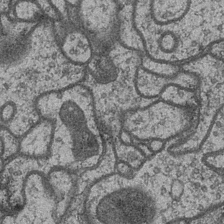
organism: Drosophila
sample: Optic medulla